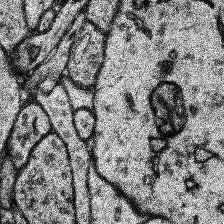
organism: Human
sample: Temporal Lobe